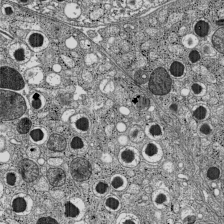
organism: C57BL Mouse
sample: Pancreatic islet